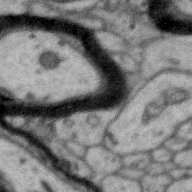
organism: Zebra finch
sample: Brain